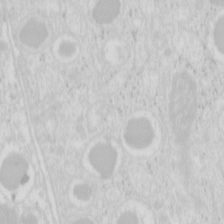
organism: Mouse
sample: Pancreas